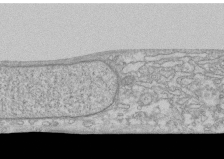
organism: Human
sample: CRL-1474